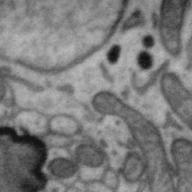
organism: Zebra finch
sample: Brain